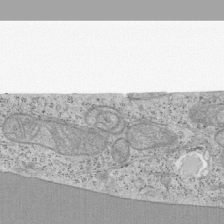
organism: Human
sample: HeLa cells